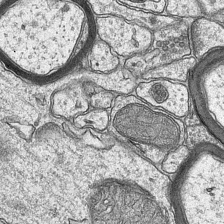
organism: Mouse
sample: CA1 Hippocampus